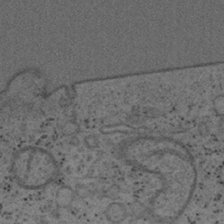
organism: Human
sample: HeLa cells